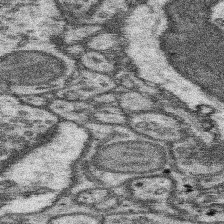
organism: Mouse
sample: Somatosensory cortex neuropil